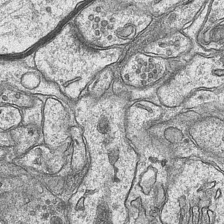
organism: Mouse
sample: CA1 Hippocampus